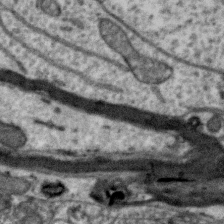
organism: Zebra finch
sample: Brain